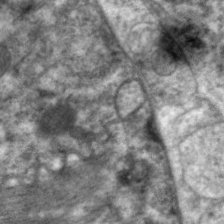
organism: C. elegans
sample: Pharynx